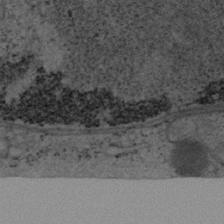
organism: Human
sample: HeLa cells